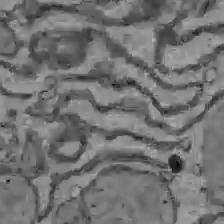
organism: C57BL Mouse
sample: Liver